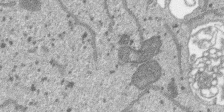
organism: Human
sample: Lung epithelial cells infected with SARS-CoV-2